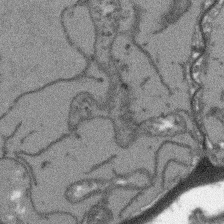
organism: Arabidopsis thaliana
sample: Root tip